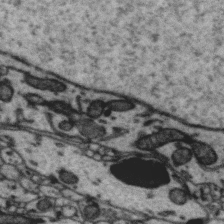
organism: Zebra finch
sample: Brain